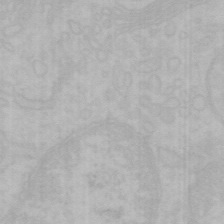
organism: Mouse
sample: Choroid plexus